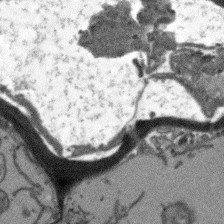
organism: Arabidopsis thaliana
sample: Root tip